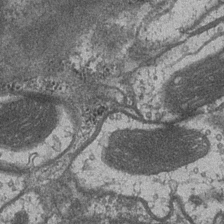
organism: Drosophila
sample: Optic medulla